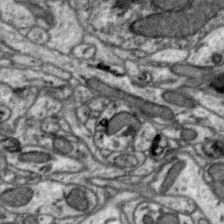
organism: Zebra finch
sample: Brain